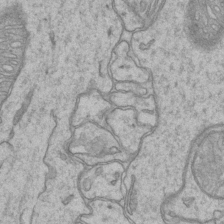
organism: Mouse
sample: CA1 Hippocampus